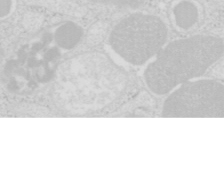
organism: Mouse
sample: Pancreas